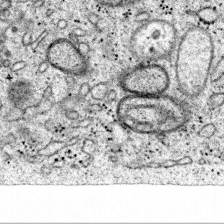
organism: Human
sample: HeLa cells